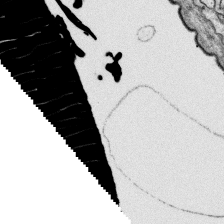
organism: Platynereis dumerilii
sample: Parapodia